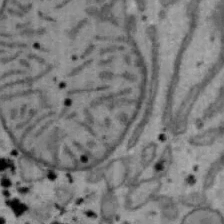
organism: Mouse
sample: Liver